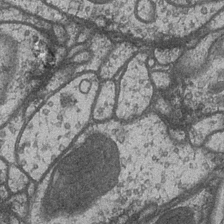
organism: Drosophila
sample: Optic medulla